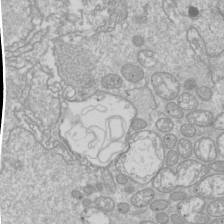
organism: Drosophila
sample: Cell division; meiosis; drosophila spermatocytes